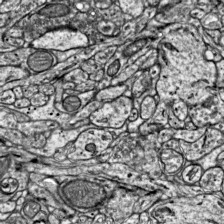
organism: Mouse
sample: Visual Cortex